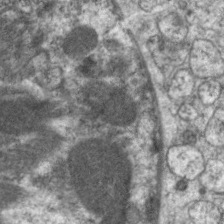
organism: C. elegans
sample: Pharynx